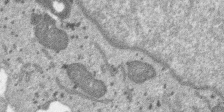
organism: Human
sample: Lung epithelial cells infected with SARS-CoV-2